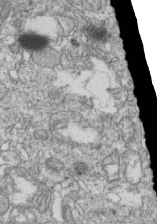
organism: Human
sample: HeLa cell HIV synapse